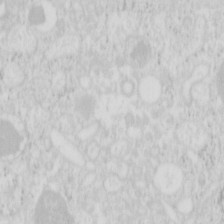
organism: Mouse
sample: Pancreas